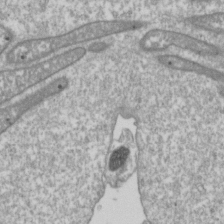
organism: Drosophila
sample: Cell division; meiosis; drosophila spermatocytes